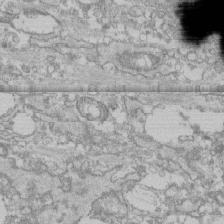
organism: Human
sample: CRL-1474